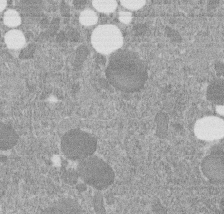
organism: C. elegans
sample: C. elegans embryo early stage